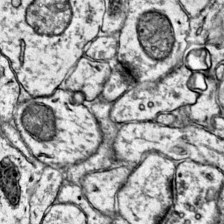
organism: Mouse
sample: Primary visual cortex